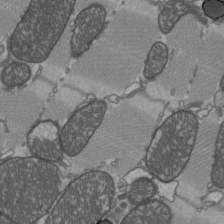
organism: C57BL Mouse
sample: Heart